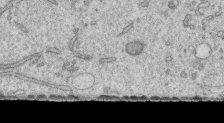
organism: Human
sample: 1205lu cells